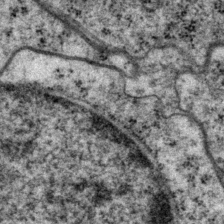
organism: P. pacificus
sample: Pharynx